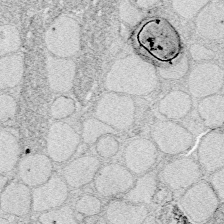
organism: Zebrafish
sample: Whole-Brain